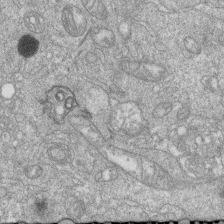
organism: Human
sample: HeLa cell HIV synapse